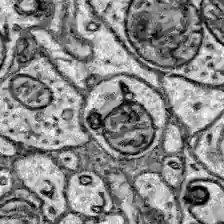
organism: Zebrafish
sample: Brain